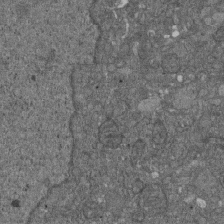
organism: Drosophila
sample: Nephrocyte